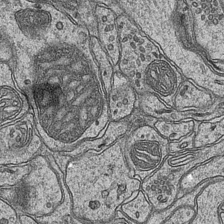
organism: Mouse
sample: CA1 Hippocampus